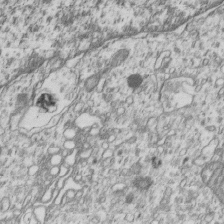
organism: Human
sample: MDA-MB-231 cells